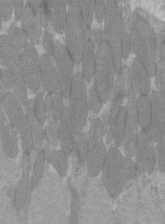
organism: C57BL Mouse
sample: Tibialis anterior muscle cell